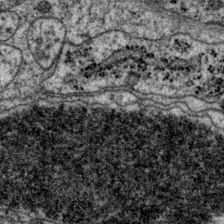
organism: P. pacificus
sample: Pharynx